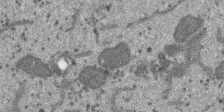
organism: Human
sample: Lung epithelial cells infected with SARS-CoV-2